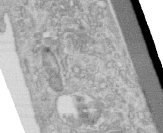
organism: Human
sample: Centriole in RPE cells